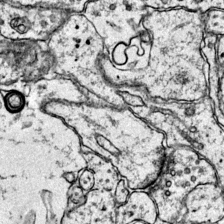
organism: Mouse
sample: Primary visual cortex